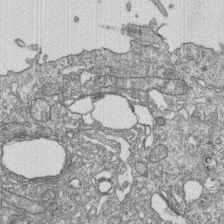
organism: Human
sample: HeLa cell HIV synapse